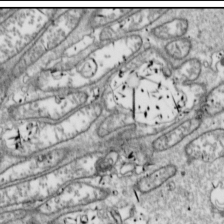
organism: Drosophila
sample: Cell division; meiosis; drosophila spermatocytes